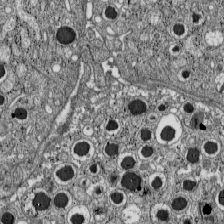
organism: C57BL Mouse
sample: Pancreatic islet